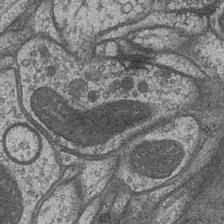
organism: Drosophila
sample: Optic medulla